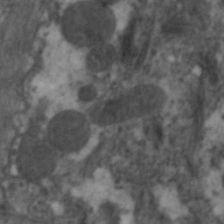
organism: C. elegans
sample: Pharynx